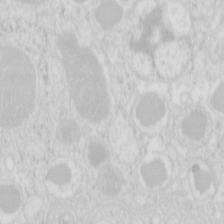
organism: Mouse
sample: Pancreas